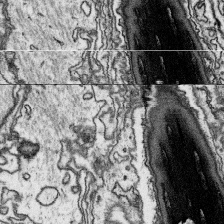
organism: Platynereis dumerilii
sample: Parapodia